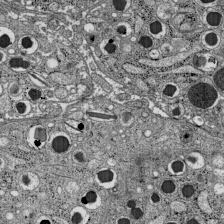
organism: C57BL Mouse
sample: Pancreatic islet